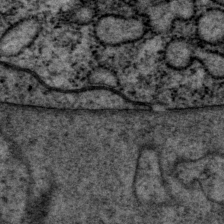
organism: P. pacificus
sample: Pharynx